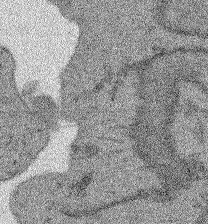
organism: Human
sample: HeLa cells